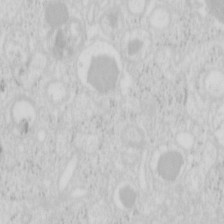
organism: Mouse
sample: Pancreas